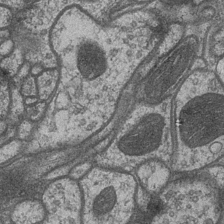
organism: Drosophila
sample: Optic medulla